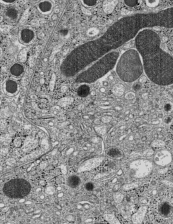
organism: C57BL Mouse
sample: Pancreatic islet